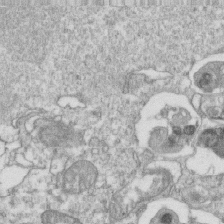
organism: Mouse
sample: Activated OT-1 CD8+ T cells